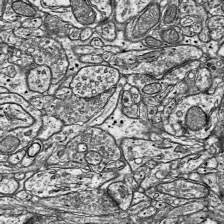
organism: Mouse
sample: Visual Cortex